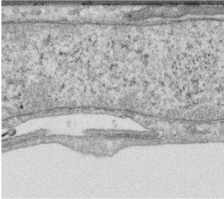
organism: Human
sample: Centriole in RPE cells